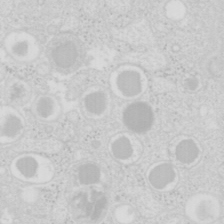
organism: Mouse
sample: Pancreas